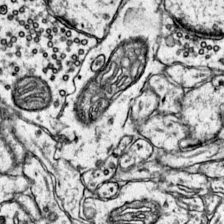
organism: Mouse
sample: Primary visual cortex